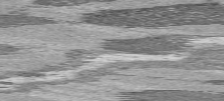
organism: C57BL Mouse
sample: Heart